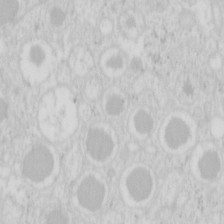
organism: Mouse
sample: Pancreas